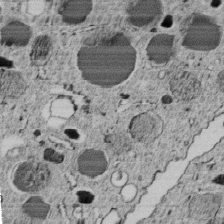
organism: C. elegans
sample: C. elegans embryo early stage